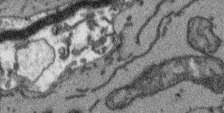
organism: Arabidopsis thaliana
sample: Root tip